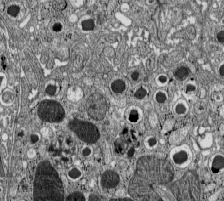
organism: C57BL Mouse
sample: Pancreatic islet